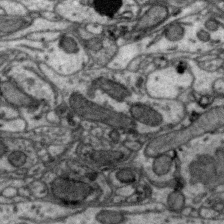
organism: Zebra finch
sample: Brain